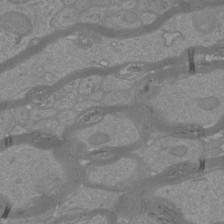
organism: Mouse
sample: Cortical neurons